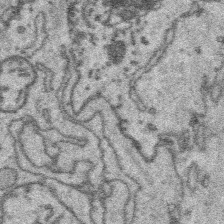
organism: Platynereis dumerilii